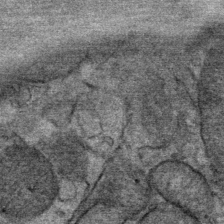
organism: Mouse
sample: Mouse Salivary gland